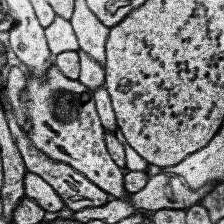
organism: Human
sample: Temporal Lobe